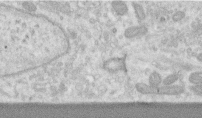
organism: Human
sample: Centriole in RPE cells